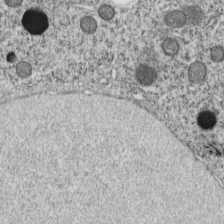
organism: C. elegans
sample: C. elegans embryo early stage